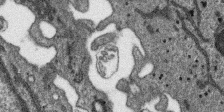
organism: Human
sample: Lung epithelial cells infected with SARS-CoV-2